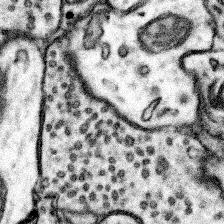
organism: Mouse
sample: Somatosensory cortex neuropil